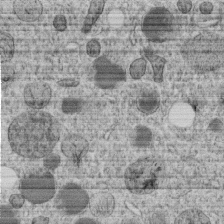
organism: C. elegans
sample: C. elegans embryo early stage